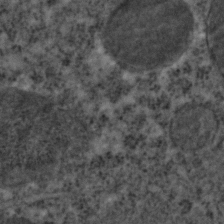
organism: C. elegans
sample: C. elegans embryo